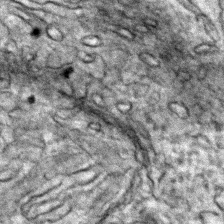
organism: Zebrafish